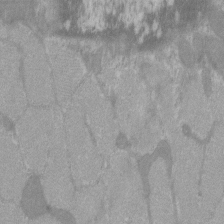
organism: C57BL Mouse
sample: Tibialis anterior muscle cell